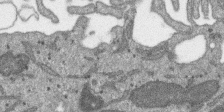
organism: Human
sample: Lung epithelial cells infected with SARS-CoV-2